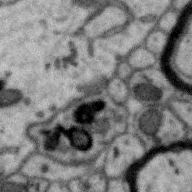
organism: Zebra finch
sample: Brain